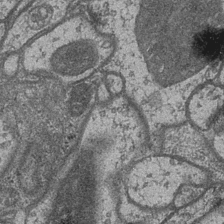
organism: Drosophila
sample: Optic medulla